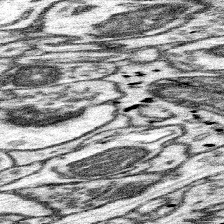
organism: Mouse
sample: Somatosensory cortex neuropil